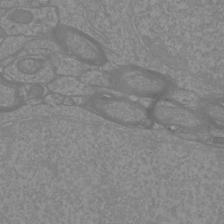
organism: Mouse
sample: Cortical neurons